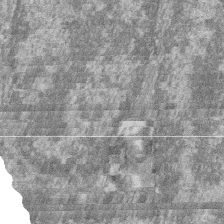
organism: Zebrafish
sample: Cilia; retinal pigment epithelium